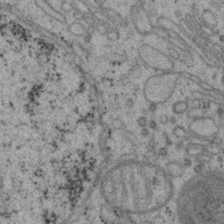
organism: Human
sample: HeLa cells